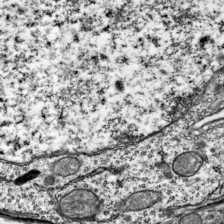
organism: Mouse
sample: Visual Cortex